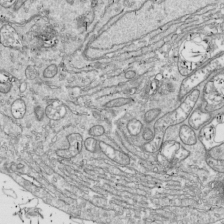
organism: Drosophila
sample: Cell division; meiosis; drosophila spermatocytes